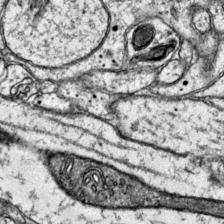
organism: Mouse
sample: Primary visual cortex